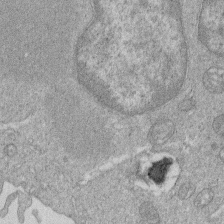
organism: Human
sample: Macrophage cells